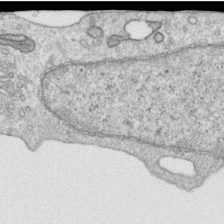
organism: Human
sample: Centriole in RPE cells